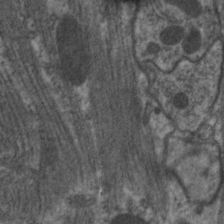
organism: C. elegans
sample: Pharynx